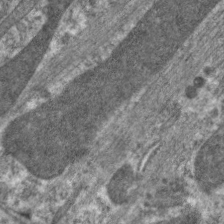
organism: C. elegans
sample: Pharynx